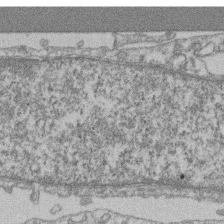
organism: Mouse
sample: T cell stromal cell synapse